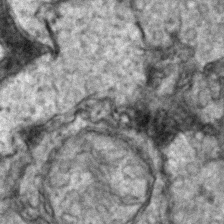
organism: Zebrafish